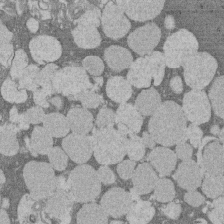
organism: Rat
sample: Salivary granule